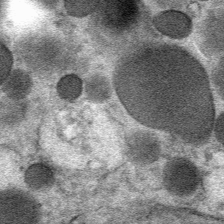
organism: Mouse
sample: Mouse Salivary gland